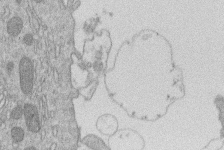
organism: Human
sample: Macrophage cells